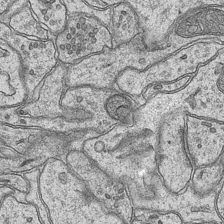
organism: Mouse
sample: CA1 Hippocampus